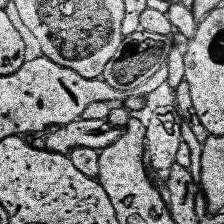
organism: Human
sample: Temporal Lobe